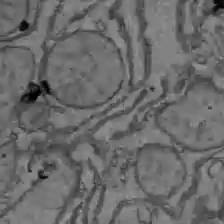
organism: C57BL Mouse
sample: Liver